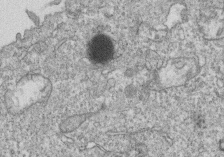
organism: Human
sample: HeLa cell HIV synapse